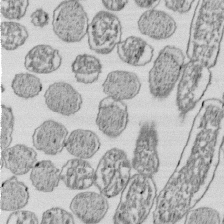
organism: E. coli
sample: Bacterial nucleoid